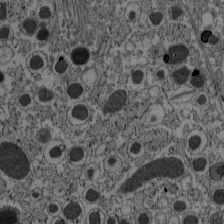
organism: C57BL Mouse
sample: Pancreatic islet